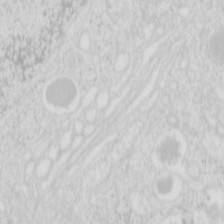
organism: Mouse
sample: Pancreas